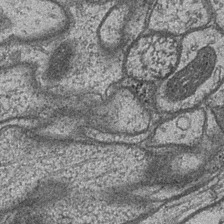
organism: Drosophila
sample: Optic medulla